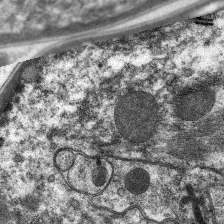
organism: C. elegans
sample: Pharynx